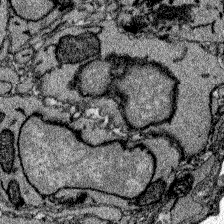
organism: Zebrafish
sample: Larval olfactory bulb